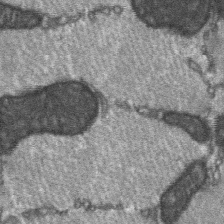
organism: C57BL Mouse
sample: Soleus